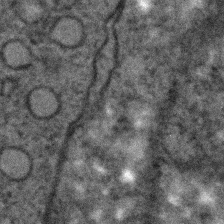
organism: C. elegans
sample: C. elegans embryo